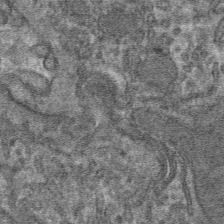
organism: Mouse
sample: Mouse hepatocytes